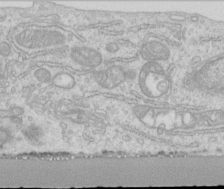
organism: Human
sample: Centriole in RPE cells